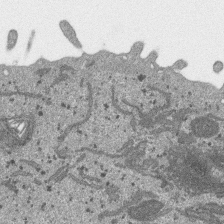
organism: Human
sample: Lung epithelial cells infected with SARS-CoV-2